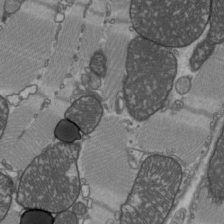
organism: C57BL Mouse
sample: Heart